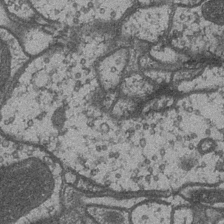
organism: Drosophila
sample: Optic medulla